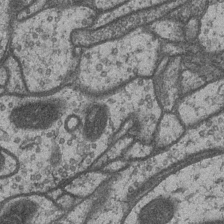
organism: Drosophila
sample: Optic medulla